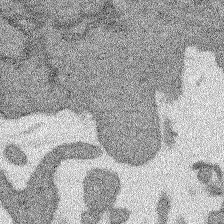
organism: Human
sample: HeLa cells